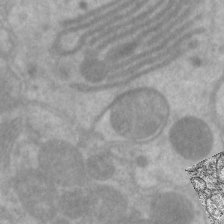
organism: C. elegans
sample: Pharynx